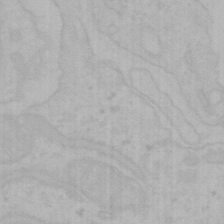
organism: Mouse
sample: Choroid plexus